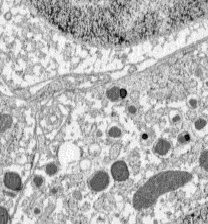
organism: C57BL Mouse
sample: Pancreatic islet